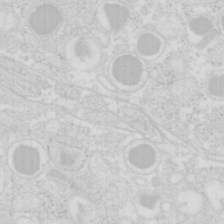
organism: Mouse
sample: Pancreas